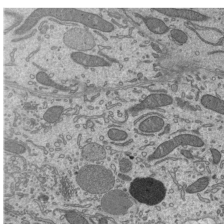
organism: Mouse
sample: Mouse epididymis efferent ductule cilia